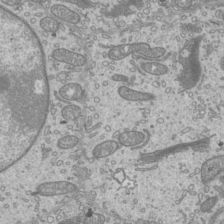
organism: Mouse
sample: Cilia; mouse epididymis